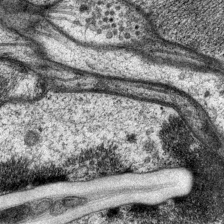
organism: P. pacificus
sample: Pharynx